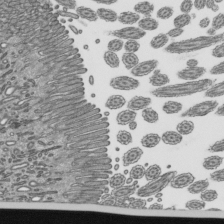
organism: Mouse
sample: Mouse epididymis efferent ductule cilia